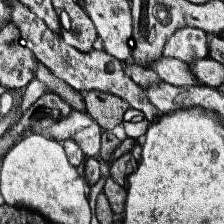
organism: Human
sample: Temporal Lobe